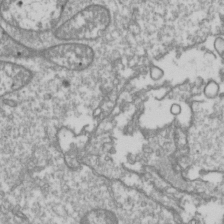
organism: Drosophila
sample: Cell division; meiosis; drosophila spermatocytes